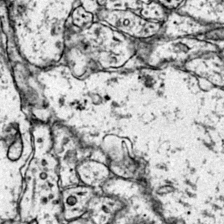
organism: Mouse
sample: Primary visual cortex